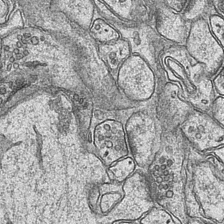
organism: Mouse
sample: CA1 Hippocampus